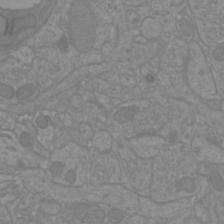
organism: Mouse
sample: Cortical neurons